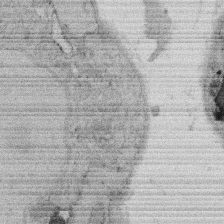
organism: Rat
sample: Salivary granule